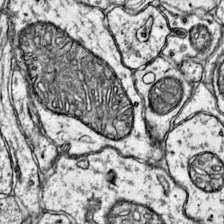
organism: Mouse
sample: Primary visual cortex